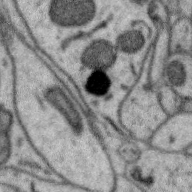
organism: Zebra finch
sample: Brain